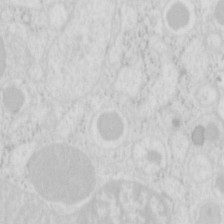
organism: Mouse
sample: Pancreas